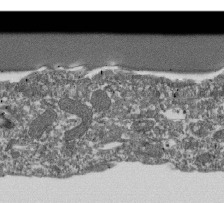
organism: Dictyostelium discoideum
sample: Dictyostelium multivesicular bodies